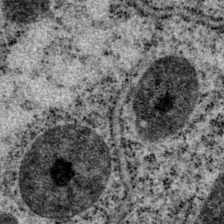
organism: P. pacificus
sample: Pharynx